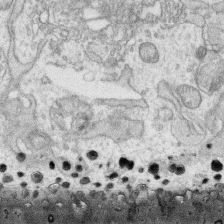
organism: Human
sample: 1205lu cells